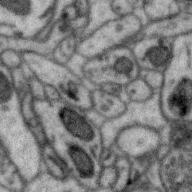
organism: Zebra finch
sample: Brain